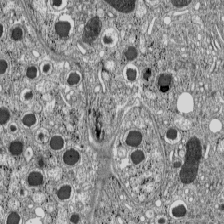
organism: C57BL Mouse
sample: Pancreatic islet